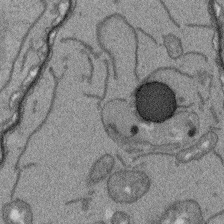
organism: Arabidopsis thaliana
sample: Root tip